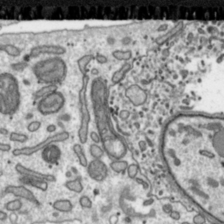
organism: Toxoplasma gondii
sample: Parasites in a vacuole inside a host cell